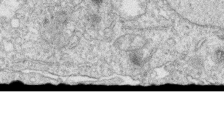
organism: Human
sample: HeLa cell HIV synapse